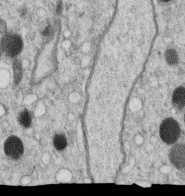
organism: C. elegans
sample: C. elegans oocyte; sperm cells